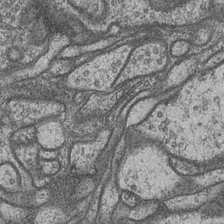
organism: Drosophila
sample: Optic medulla